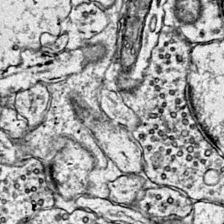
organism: Mouse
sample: Primary visual cortex